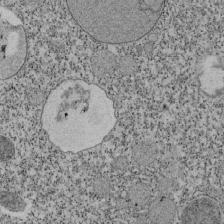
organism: Tetrahymena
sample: Cilia in tetrahymena